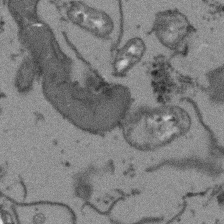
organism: Arabidopsis thaliana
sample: Root tip